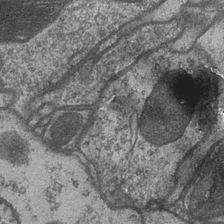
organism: Drosophila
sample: Optic medulla